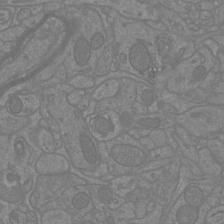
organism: Mouse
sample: Cortical neurons